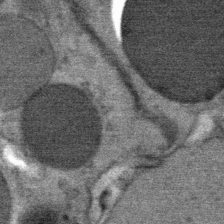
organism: Mouse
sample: Mouse Salivary gland